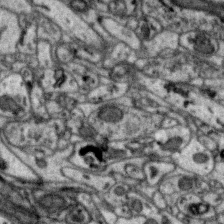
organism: Zebra finch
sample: Brain